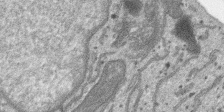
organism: Human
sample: Lung epithelial cells infected with SARS-CoV-2